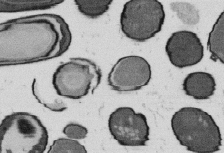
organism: B. subtilis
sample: Bacterial spore